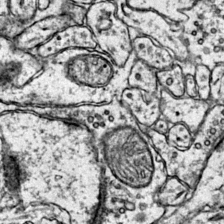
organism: Mouse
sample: Primary visual cortex